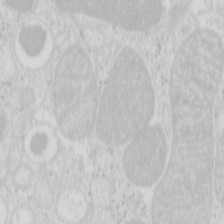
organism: Mouse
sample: Pancreas